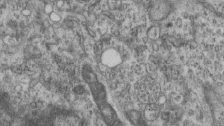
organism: Mouse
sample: Centriole in ependymal cells